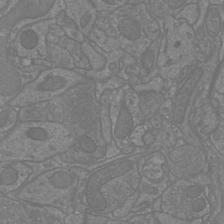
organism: Mouse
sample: Cortical neurons